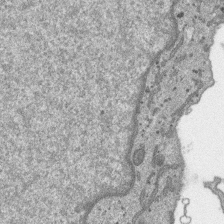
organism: Human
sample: Lung epithelial cells infected with SARS-CoV-2